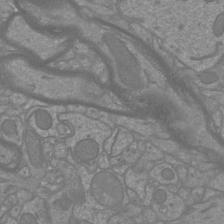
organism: Mouse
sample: Cortical neurons